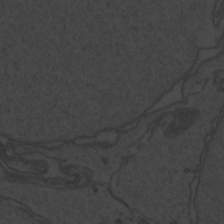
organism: Zebrafish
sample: Macrophage infected with Toxoplasma gondii